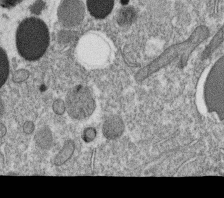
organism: C. elegans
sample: C. elegans oocyte; sperm cells